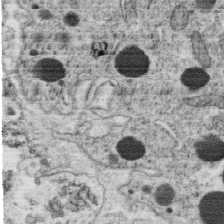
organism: C. elegans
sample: C. elegans oocyte; sperm cells